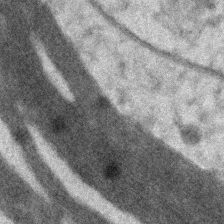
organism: Zebrafish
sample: Zebrafish embryo